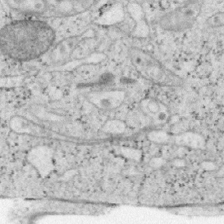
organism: Mouse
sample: OT-I killer T cells with ID8 ovarian cancer cells